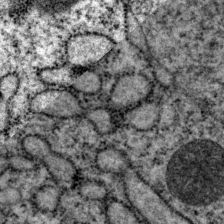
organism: P. pacificus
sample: Pharynx